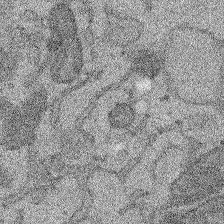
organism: Human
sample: HeLa cells